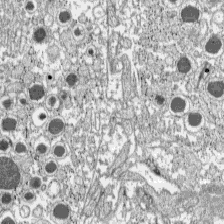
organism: C57BL Mouse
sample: Pancreatic islet